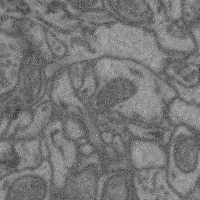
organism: Mouse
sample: Cerebral cortex